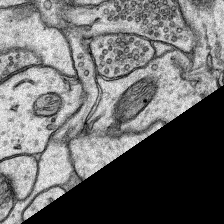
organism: Rat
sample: Hippocampus